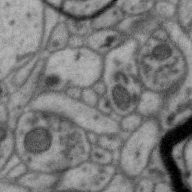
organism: Zebra finch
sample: Brain